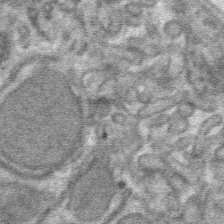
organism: Mouse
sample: Mouse hepatocytes